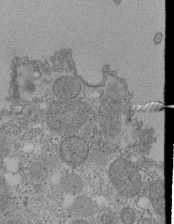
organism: Tetrahymena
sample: Cilia in tetrahymena